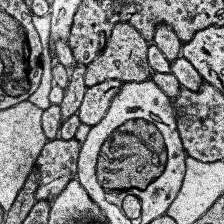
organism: Human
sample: Temporal Lobe